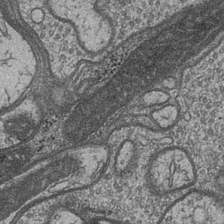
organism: Drosophila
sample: Optic medulla